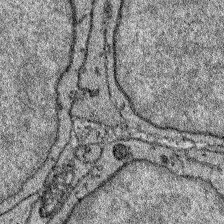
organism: Zebrafish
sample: Larval olfactory bulb